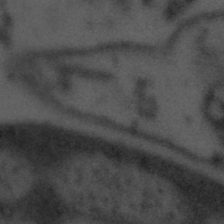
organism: Tuwongella immobilis